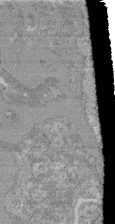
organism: Mouse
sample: Glomerulus